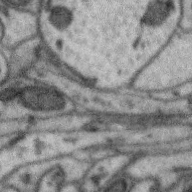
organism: Zebra finch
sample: Brain